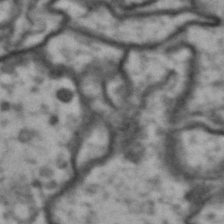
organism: Drosophila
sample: Brain